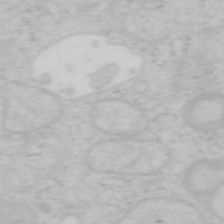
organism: Mouse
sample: OT-I killer T cells with ID8 ovarian cancer cells